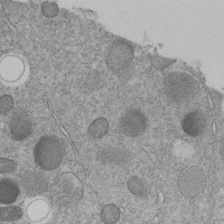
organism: C. elegans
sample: C. elegans embryo early stage